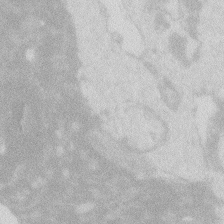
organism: Zebrafish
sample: Macrophage